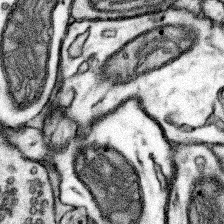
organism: Mouse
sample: Somatosensory cortex neuropil